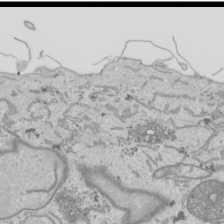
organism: Human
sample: Mitochondria in HCT116 cells